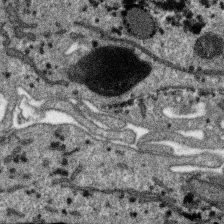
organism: Human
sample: Lung epithelial cells infected with SARS-CoV-2